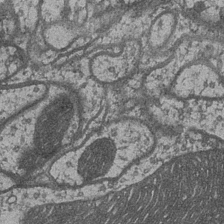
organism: Drosophila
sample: Optic medulla